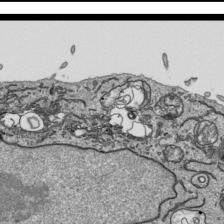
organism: Human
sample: Mitochondria in HCT116 cells